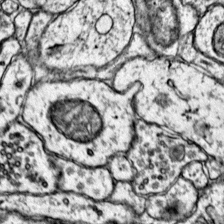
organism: Mouse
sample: Primary visual cortex